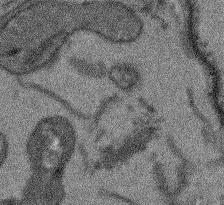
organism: Arabidopsis thaliana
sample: Root tip